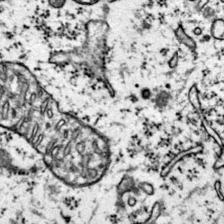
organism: Mouse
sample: Primary visual cortex